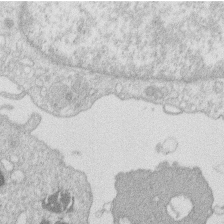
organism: Human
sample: Macrophage cells